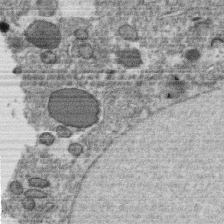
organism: C. elegans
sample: C. elegans oocyte; sperm cells